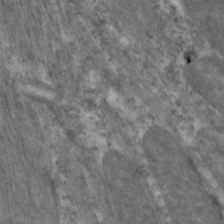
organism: C. elegans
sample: Pharynx